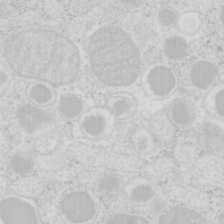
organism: Mouse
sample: Pancreas